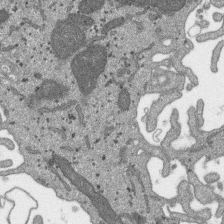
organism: Human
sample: Lung epithelial cells infected with SARS-CoV-2